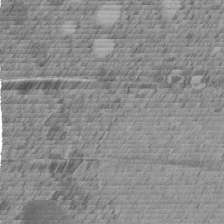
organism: C. elegans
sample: C. elegans embryo early stage